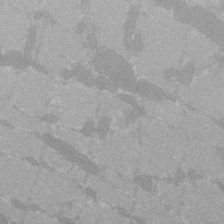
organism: C57BL Mouse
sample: Tibialis anterior muscle cell